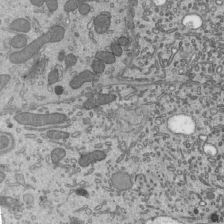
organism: Mouse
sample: Mouse epididymis efferent ductule cilia